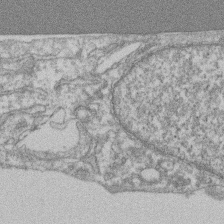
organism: Mouse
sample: T cell stromal cell synapse